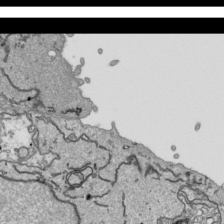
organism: Human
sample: Mitochondria in HCT116 cells